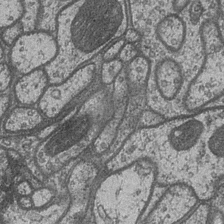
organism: Drosophila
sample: Optic medulla